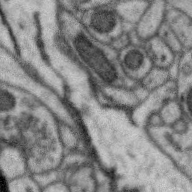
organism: Zebra finch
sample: Brain